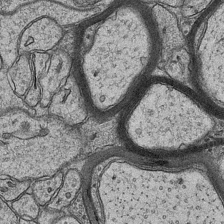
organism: Mouse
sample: CA1 Hippocampus